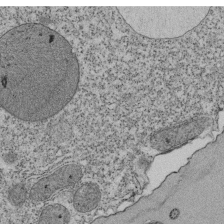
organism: Tetrahymena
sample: Cilia in tetrahymena